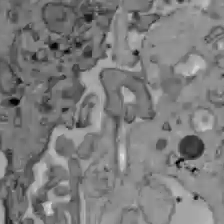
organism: C57BL Mouse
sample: Liver